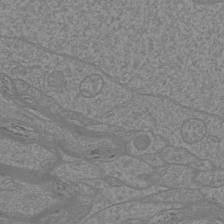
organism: Mouse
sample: Cortical neurons